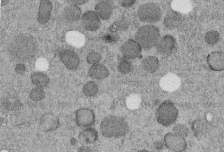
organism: C. elegans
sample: C. elegans embryo early stage